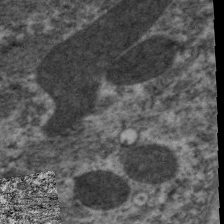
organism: C. elegans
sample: Pharynx